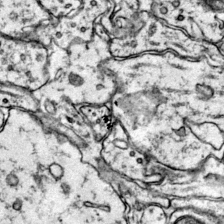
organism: Mouse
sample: Primary visual cortex